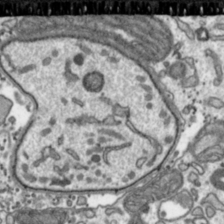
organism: Toxoplasma gondii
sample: Parasites in a vacuole inside a host cell